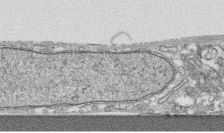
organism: Human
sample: CRL-1474